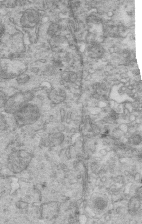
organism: Mouse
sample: Multiciliated cells